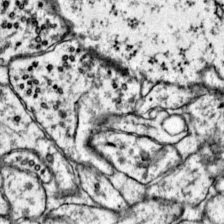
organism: Mouse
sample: Primary visual cortex